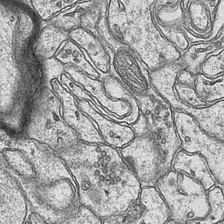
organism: Mouse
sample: CA1 Hippocampus